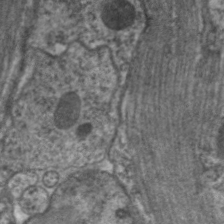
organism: C. elegans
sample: Pharynx